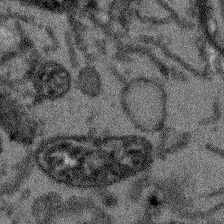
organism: Arabidopsis thaliana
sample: Root tip